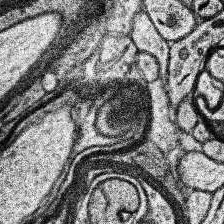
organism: Human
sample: Temporal Lobe